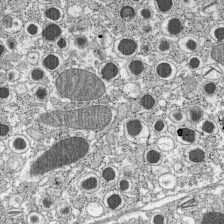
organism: C57BL Mouse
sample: Pancreatic islet